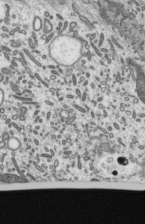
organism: Mouse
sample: Mouse epididymis efferent ductule cilia